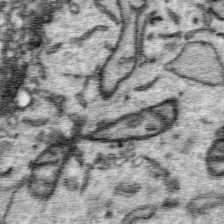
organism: Human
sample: HeLa cells